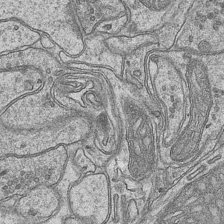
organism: Mouse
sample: CA1 Hippocampus